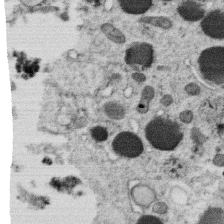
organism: C. elegans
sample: C. elegans oocyte; sperm cells